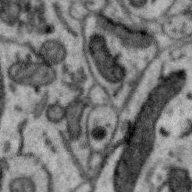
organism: Zebra finch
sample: Brain